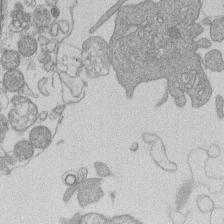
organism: Human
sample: Macrophage cells